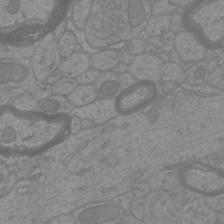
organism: Mouse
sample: Cortical neurons